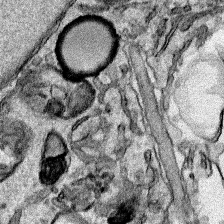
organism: Human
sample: Mitochondria in HCT116 cells